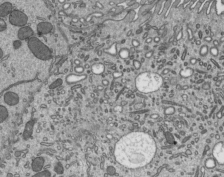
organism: Mouse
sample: Mouse epididymis efferent ductule cilia